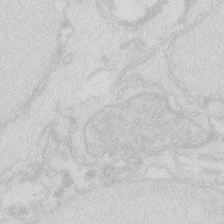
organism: Zebrafish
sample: Macrophage